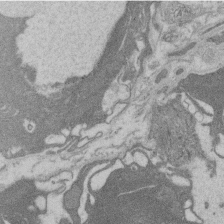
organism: Rat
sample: Salivary granule